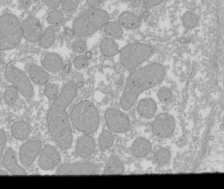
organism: Xenopus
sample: Cilia; centrioles in frog embryo cells